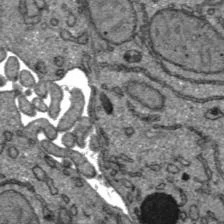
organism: C57BL Mouse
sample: Liver